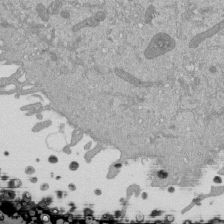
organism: Mouse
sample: ED-1 cell nuclei; centrioles